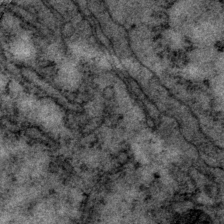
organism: P. pacificus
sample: Pharynx